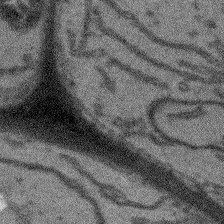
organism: Arabidopsis thaliana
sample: Root tip